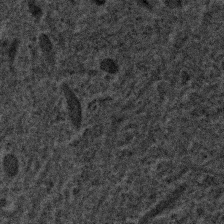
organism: Human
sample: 1205lu cells